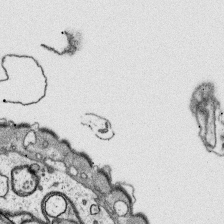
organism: Platynereis dumerilii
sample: Parapodia